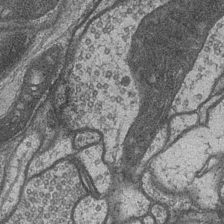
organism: Drosophila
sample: Optic medulla